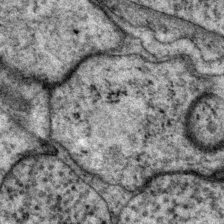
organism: P. pacificus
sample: Pharynx